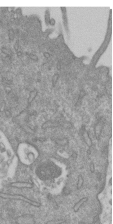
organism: Mouse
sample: ED-1 cell nuclei; centrioles